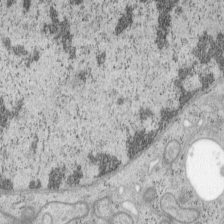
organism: Mouse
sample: OT-I killer T cells with ID8 ovarian cancer cells